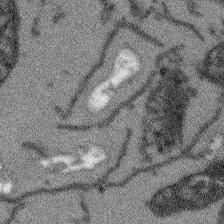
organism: Arabidopsis thaliana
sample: Root tip